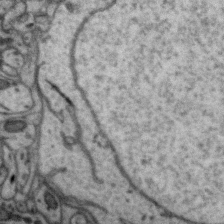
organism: Zebra finch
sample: Brain